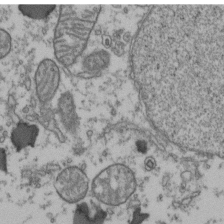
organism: Human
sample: Activated Jurkat CD4+ T cells